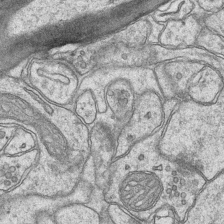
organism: Mouse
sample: CA1 Hippocampus